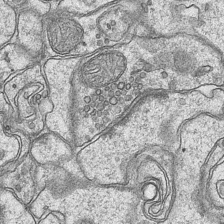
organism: Mouse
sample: CA1 Hippocampus